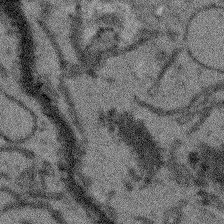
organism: Arabidopsis thaliana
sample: Root tip